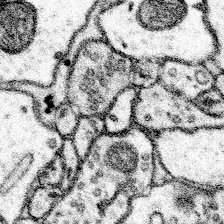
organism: Mouse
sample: Somatosensory cortex neuropil